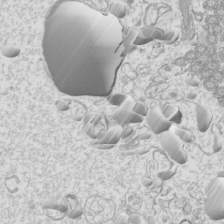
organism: Mouse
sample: Cilia; mouse epididymis